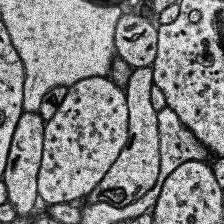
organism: Human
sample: Temporal Lobe